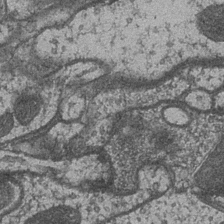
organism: Drosophila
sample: Optic medulla